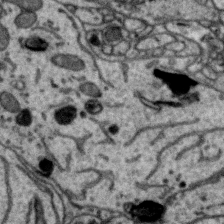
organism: Zebra finch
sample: Brain